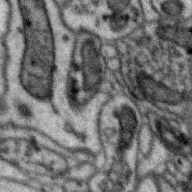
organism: Zebra finch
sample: Brain